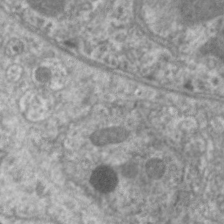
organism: C. elegans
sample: Pharynx